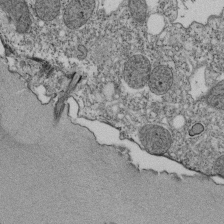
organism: Tetrahymena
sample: Cilia in tetrahymena